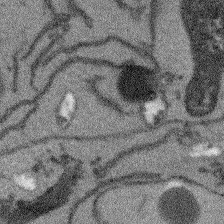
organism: Arabidopsis thaliana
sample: Root tip